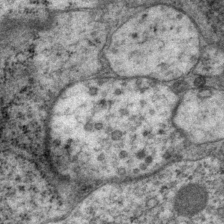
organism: P. pacificus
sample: Pharynx